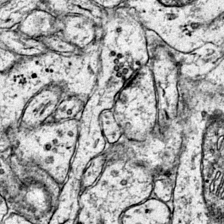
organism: Mouse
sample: Primary visual cortex